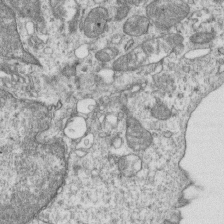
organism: Mouse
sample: Activated OT-1 CD8+ T cells